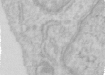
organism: Human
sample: Centriole in RPE cells